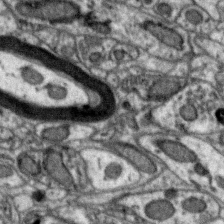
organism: Zebra finch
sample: Brain